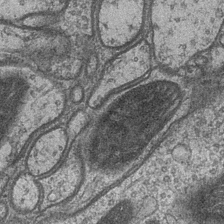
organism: Drosophila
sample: Optic medulla